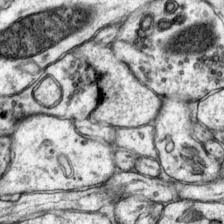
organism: Mouse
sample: Primary visual cortex